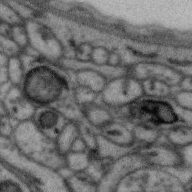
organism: Zebra finch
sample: Brain